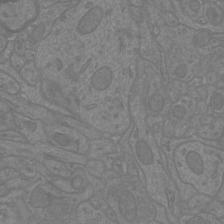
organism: Mouse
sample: Cortical neurons